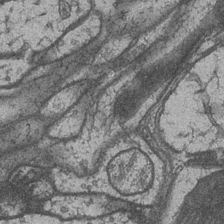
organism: Drosophila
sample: Optic medulla